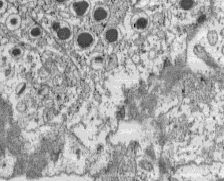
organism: C57BL Mouse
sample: Pancreatic islet